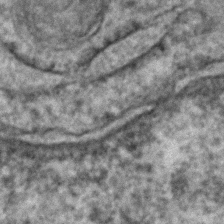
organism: Human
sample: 1205lu cells